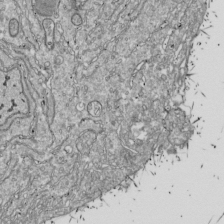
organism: Drosophila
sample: Cell division; meiosis; drosophila spermatocytes